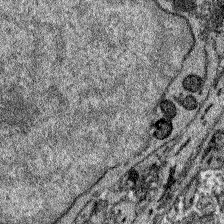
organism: Zebrafish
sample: Larval olfactory bulb